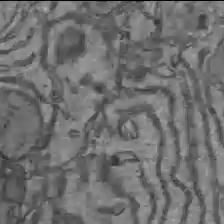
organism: C57BL Mouse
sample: Liver